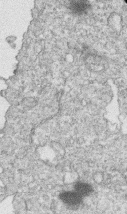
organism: Human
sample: HeLa cell HIV synapse